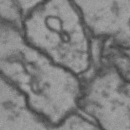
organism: Drosophila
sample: Brain